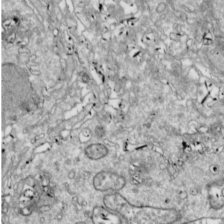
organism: Drosophila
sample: Cell division; meiosis; drosophila spermatocytes